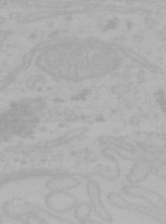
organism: Mouse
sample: Choroid plexus